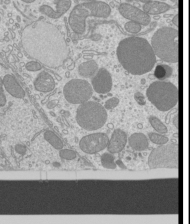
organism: Mouse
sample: Cilia; mouse epididymis